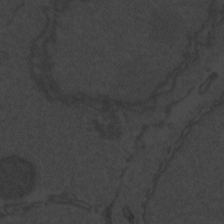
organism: Zebrafish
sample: Macrophage infected with Toxoplasma gondii